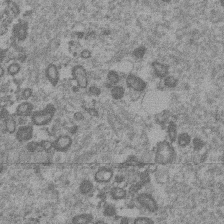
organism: Mouse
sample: Dividing mouse embryo 1 cell stage